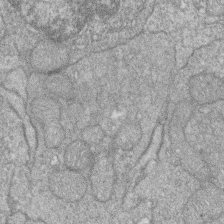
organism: Zebrafish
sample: Cilia; retinal pigment epithelium